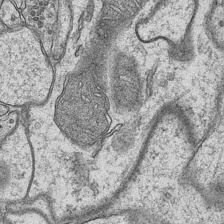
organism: Mouse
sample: CA1 Hippocampus